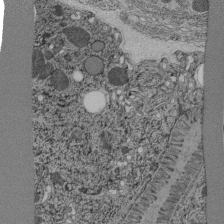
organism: C. elegans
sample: C. elegans pharynx